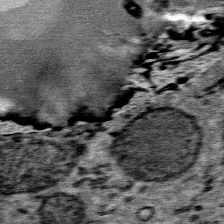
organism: Mouse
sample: Mouse Salivary gland